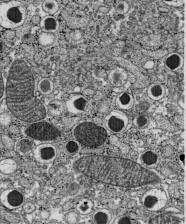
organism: C57BL Mouse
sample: Pancreatic islet